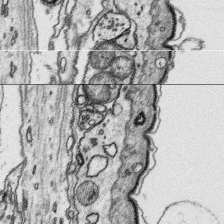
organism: Platynereis dumerilii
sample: Parapodia